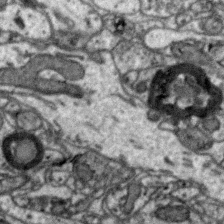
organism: Zebra finch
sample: Brain